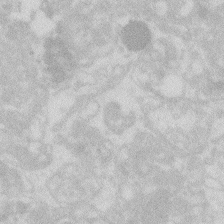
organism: Zebrafish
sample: Macrophage